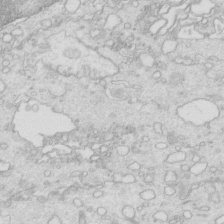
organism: Mouse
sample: Multiciliated cells